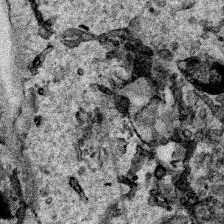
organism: Human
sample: Mitochondria in HCT116 cells